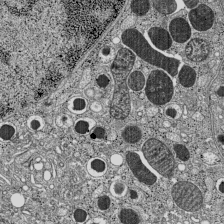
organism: C57BL Mouse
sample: Pancreatic islet